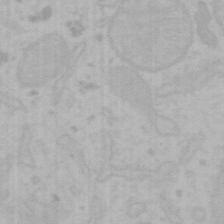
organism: Mouse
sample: Choroid plexus